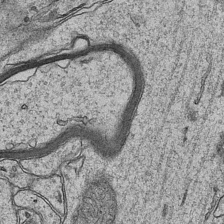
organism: Mouse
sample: CA1 Hippocampus